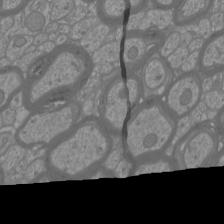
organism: Mouse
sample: Cortical neurons